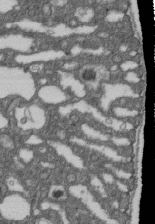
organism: Drosophila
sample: Nephrocyte